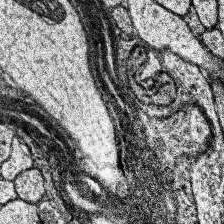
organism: Human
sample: Temporal Lobe